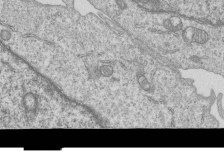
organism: Human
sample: MDA-MB-231 cells